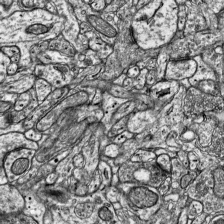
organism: Mouse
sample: Visual Cortex